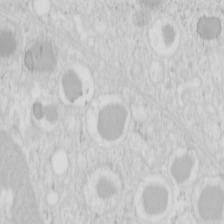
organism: Mouse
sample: Pancreas